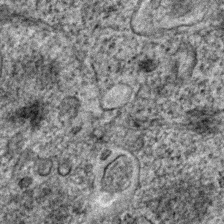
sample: Trachea